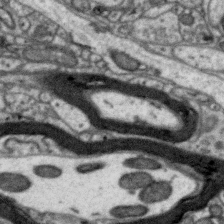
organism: Zebra finch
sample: Brain